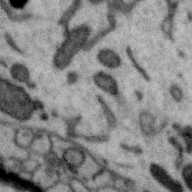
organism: Zebra finch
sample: Brain